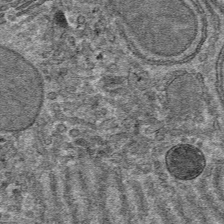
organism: Mouse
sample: Mouse hepatocytes